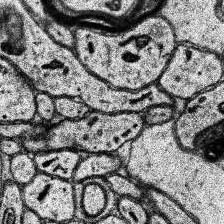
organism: Human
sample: Temporal Lobe